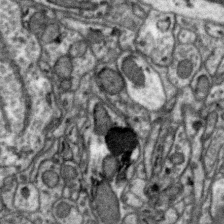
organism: Zebra finch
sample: Brain